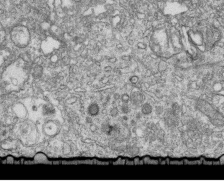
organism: Human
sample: HeLa cell HIV synapse